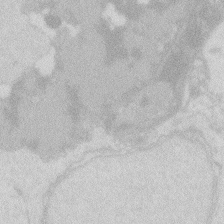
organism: Zebrafish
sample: Macrophage